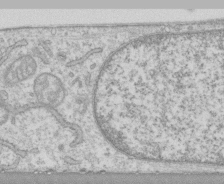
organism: Human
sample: CRL-1474